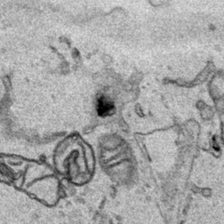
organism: Human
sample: Mitochondria in HCT116 cells